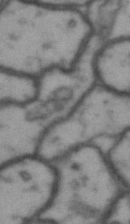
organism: Drosophila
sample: Brain